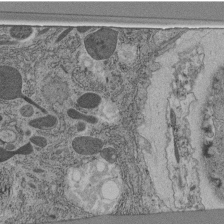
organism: C. elegans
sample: C. elegans pharynx